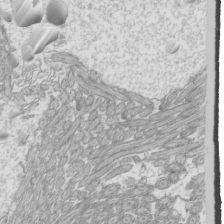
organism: Mouse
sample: Cilia; mouse epididymis